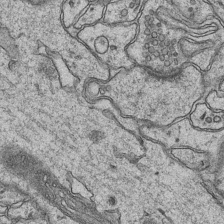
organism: Mouse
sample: CA1 Hippocampus